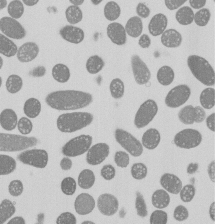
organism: E. coli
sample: Bacterial nucleoid